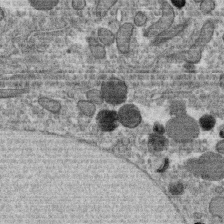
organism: C. elegans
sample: C. elegans oocyte; sperm cells